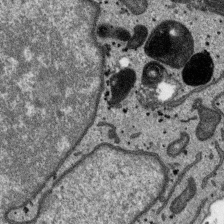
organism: Human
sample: Lung epithelial cells, uninfected (mock) control